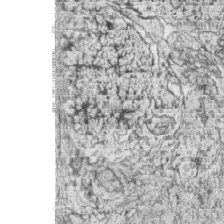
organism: Zebrafish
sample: synaptic ribbons in rod cells and cone cells